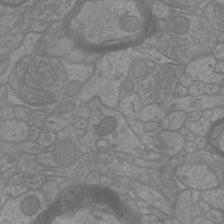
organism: Mouse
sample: Cortical neurons